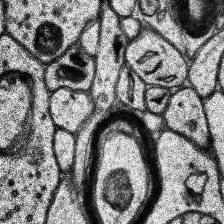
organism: Human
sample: Temporal Lobe